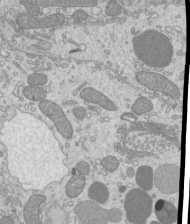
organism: Mouse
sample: Cilia; mouse epididymis